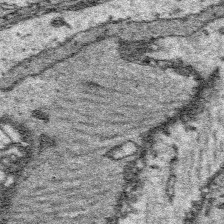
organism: Platynereis dumerilii